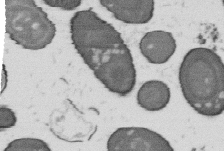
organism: B. subtilis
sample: Bacterial spore